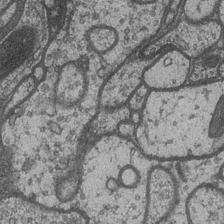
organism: Drosophila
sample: Optic medulla